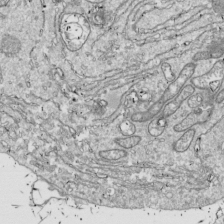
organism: Drosophila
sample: Cell division; meiosis; drosophila spermatocytes